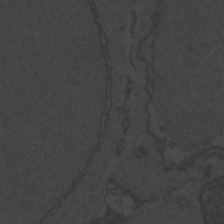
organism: Zebrafish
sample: Macrophage infected with Toxoplasma gondii